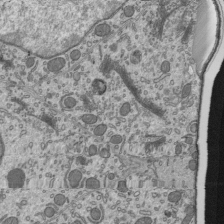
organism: Mouse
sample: Mouse epididymis efferent ductule cilia